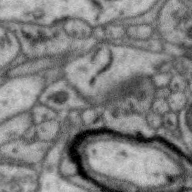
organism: Zebra finch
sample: Brain